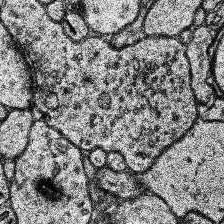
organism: Human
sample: Temporal Lobe